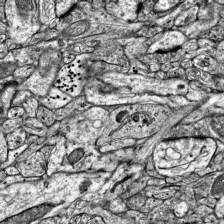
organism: Mouse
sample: Visual Cortex